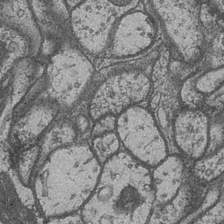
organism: Drosophila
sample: Optic medulla